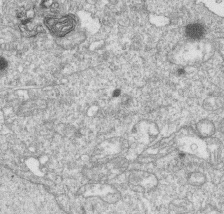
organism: Human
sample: HeLa cell HIV synapse